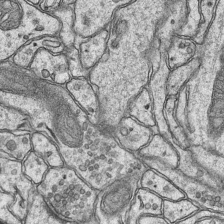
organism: Mouse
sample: CA1 Hippocampus